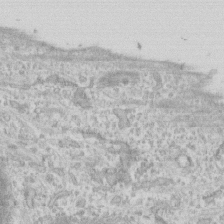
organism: Human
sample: CRL-1474